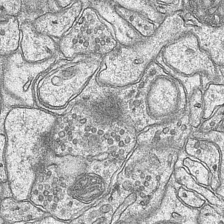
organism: Mouse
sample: CA1 Hippocampus